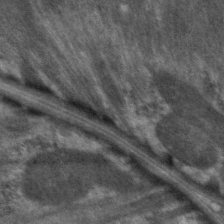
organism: C. elegans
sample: Pharynx